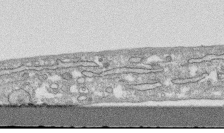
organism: Human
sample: CRL-1474